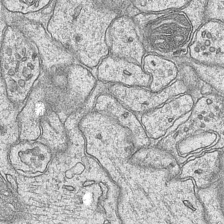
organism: Mouse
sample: CA1 Hippocampus